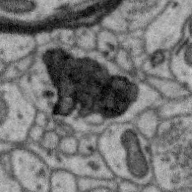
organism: Zebra finch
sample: Brain